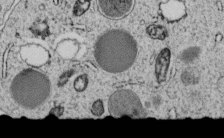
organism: C. elegans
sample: C. elegans embryo early stage